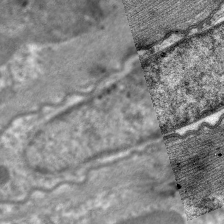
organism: C. elegans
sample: Pharynx